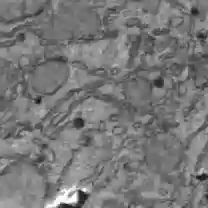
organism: C57BL Mouse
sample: Liver